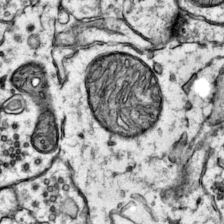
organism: Mouse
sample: Primary visual cortex